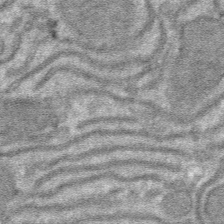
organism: Mouse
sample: Mouse hepatocytes